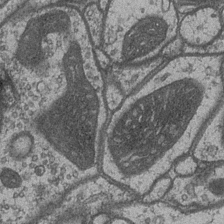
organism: Drosophila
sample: Optic medulla